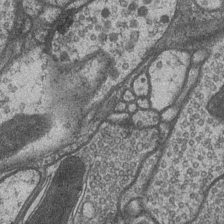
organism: Drosophila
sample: Optic medulla